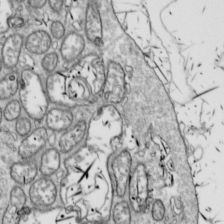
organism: Drosophila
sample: Cell division; meiosis; drosophila spermatocytes